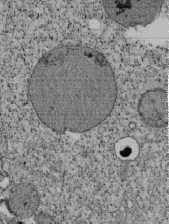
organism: Tetrahymena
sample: Cilia in tetrahymena